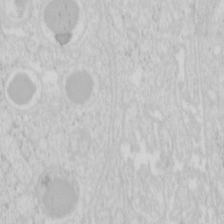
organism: Mouse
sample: Pancreas